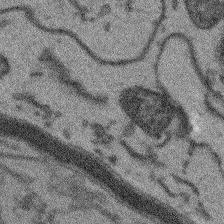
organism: Arabidopsis thaliana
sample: Root tip